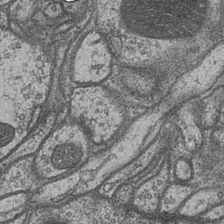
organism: Drosophila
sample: Optic medulla